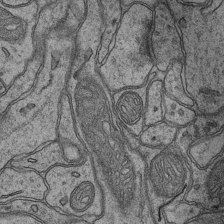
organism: Mouse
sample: CA1 Hippocampus